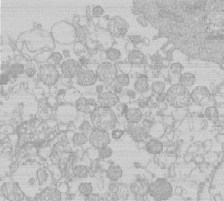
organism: Human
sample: Macrophage cells